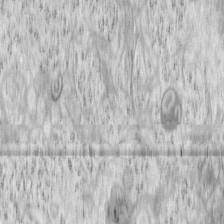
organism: Human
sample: HeLa cells